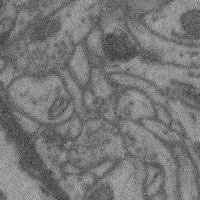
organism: Mouse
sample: Cerebral cortex